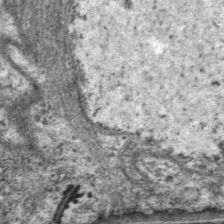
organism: C. elegans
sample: Pharynx